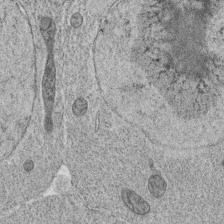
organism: C. elegans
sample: C. elegans oocyte; sperm cells